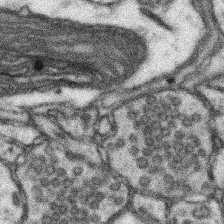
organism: Mouse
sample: Somatosensory cortex neuropil